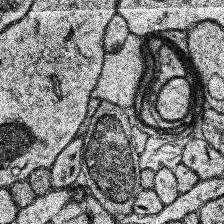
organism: Human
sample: Temporal Lobe